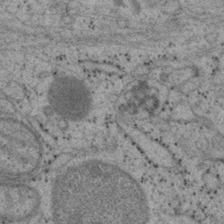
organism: Human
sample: HeLa cells